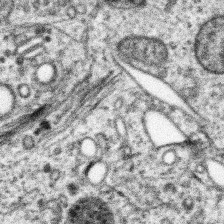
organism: Human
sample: HeLa cells